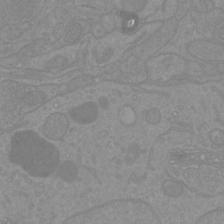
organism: Mouse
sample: Cortical neurons